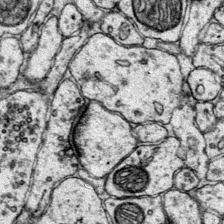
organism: Mouse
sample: Primary visual cortex